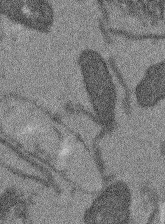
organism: Arabidopsis thaliana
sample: Root tip